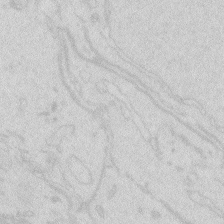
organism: Zebrafish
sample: Macrophage